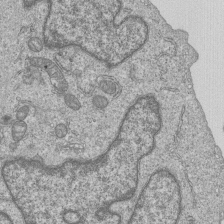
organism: Human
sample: MDA-MB-231 cells